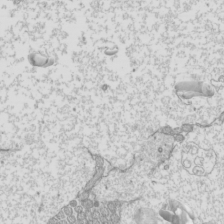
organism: Mouse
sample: Cilia; mouse epididymis